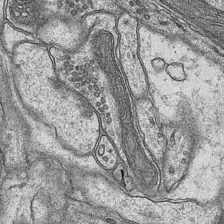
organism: Mouse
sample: CA1 Hippocampus